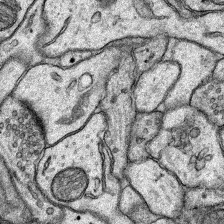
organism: Rat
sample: Hippocampus